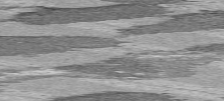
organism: C57BL Mouse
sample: Heart